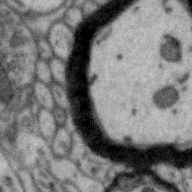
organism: Zebra finch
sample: Brain